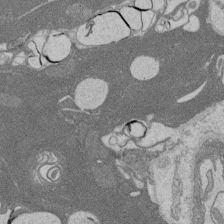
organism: Rat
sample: Salivary granule